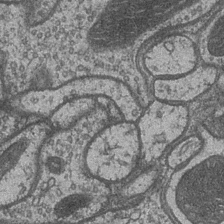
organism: Drosophila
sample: Optic medulla